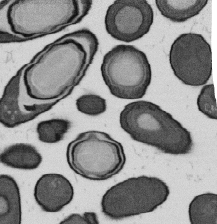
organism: B. subtilis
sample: Bacterial spore